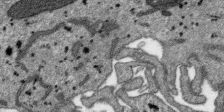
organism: Human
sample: Lung epithelial cells, uninfected (mock) control